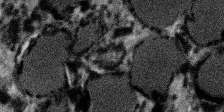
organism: Human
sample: Lung epithelial cells infected with SARS-CoV-2